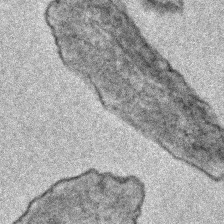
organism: E. coli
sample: E. Coli Bacteria